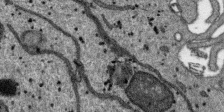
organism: Human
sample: Lung epithelial cells, uninfected (mock) control